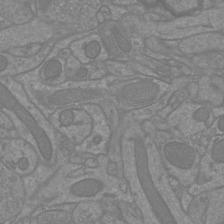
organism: Mouse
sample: Cortical neurons